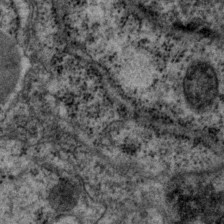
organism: P. pacificus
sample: Pharynx